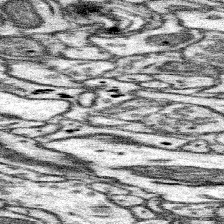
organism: Mouse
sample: Somatosensory cortex neuropil